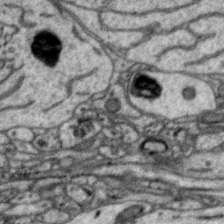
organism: Zebra finch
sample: Brain